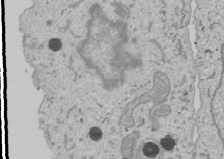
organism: Human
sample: Mitochondria in U2OS cells